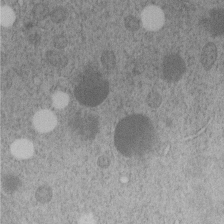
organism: C. elegans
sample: C. elegans embryo early stage